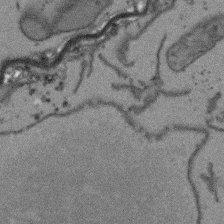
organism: Arabidopsis thaliana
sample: Root tip